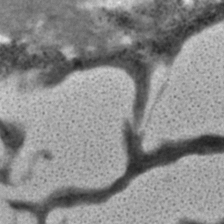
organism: C. elegans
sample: C. elegans embryo